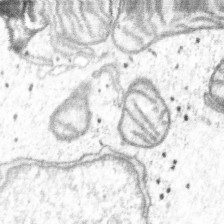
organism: Human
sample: HeLa cells